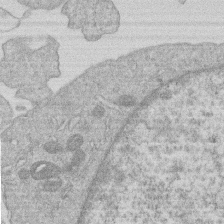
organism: Human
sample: Macrophage cells